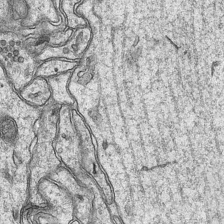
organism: Mouse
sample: CA1 Hippocampus